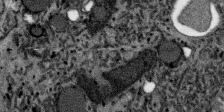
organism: Human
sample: Lung epithelial cells, uninfected (mock) control